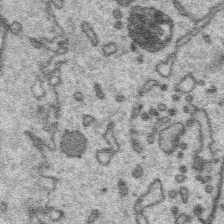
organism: Platynereis dumerilii